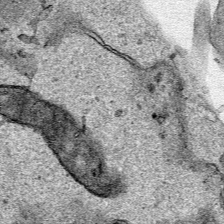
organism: Human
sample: Mitochondria in HCT116 cells